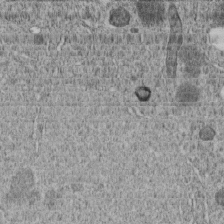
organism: C. elegans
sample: C. elegans embryo early stage